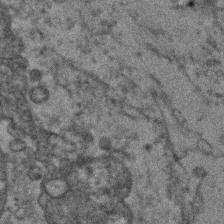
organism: Human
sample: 1205lu cells